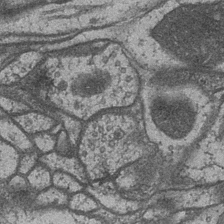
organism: Drosophila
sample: Optic medulla